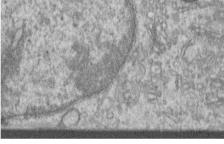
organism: Human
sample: Centriole in RPE cells